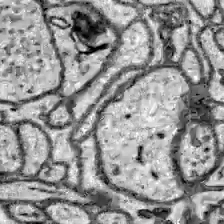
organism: Zebrafish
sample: Brain